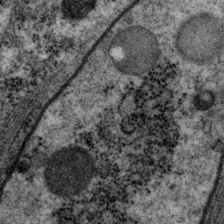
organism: P. pacificus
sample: Pharynx